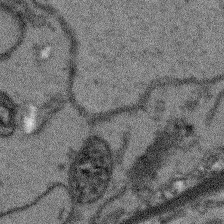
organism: Arabidopsis thaliana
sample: Root tip